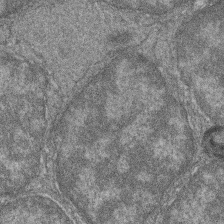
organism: Zebrafish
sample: Cilia; retinal pigment epithelium